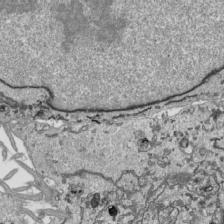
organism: Human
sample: Mitochondria in HCT116 cells